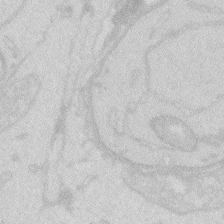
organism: Zebrafish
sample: Macrophage